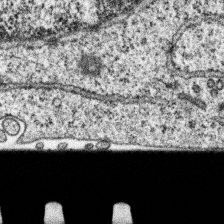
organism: Human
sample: HeLa cells